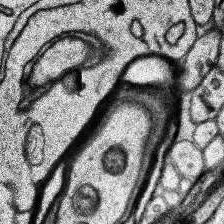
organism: Human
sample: Temporal Lobe